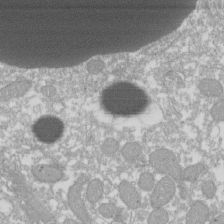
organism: Xenopus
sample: Cilia; centrioles in frog embryo cells